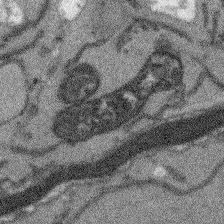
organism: Arabidopsis thaliana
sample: Root tip